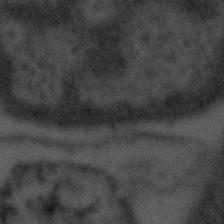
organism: Tuwongella immobilis